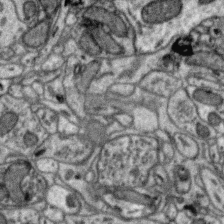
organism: Zebra finch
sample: Brain